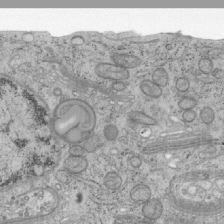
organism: Human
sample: HeLa cells